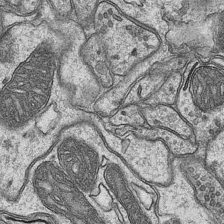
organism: Mouse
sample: CA1 Hippocampus